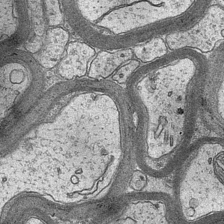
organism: Mouse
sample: CA1 Hippocampus